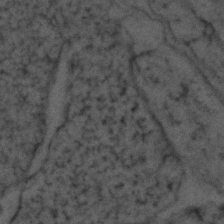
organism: Zebrafish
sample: Zebrafish embryo